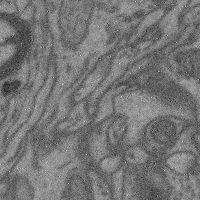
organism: Mouse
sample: Cerebral cortex